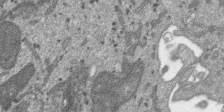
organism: Human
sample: Lung epithelial cells infected with SARS-CoV-2